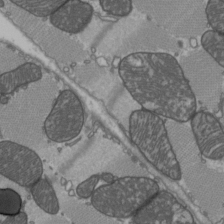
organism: C57BL Mouse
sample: Heart